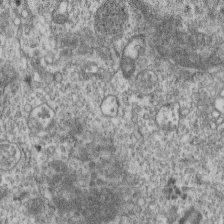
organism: Mouse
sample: Centriole in ependymal cells